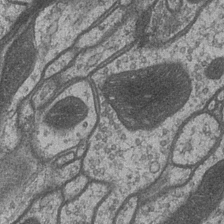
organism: Drosophila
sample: Optic medulla